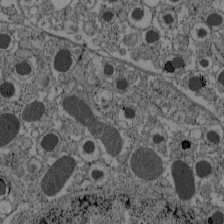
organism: C57BL Mouse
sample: Pancreatic islet